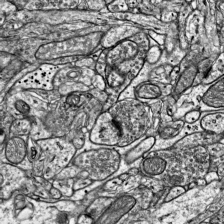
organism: Mouse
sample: Visual Cortex